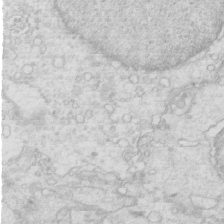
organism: Mouse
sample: Multiciliated cells